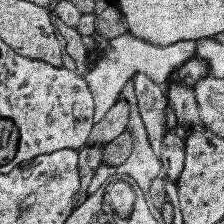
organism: Human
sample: Temporal Lobe